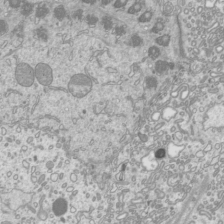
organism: Mouse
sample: Cilia; mouse epididymis